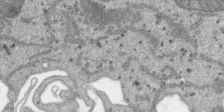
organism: Human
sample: Lung epithelial cells infected with SARS-CoV-2